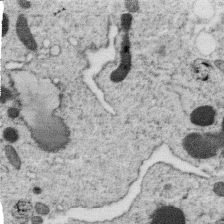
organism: C. elegans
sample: C. elegans oocyte; sperm cells